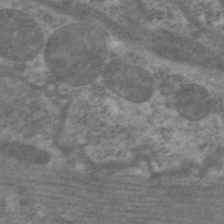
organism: C. elegans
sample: Pharynx